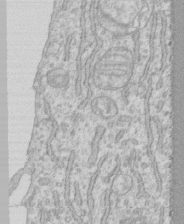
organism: Human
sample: CRL-1474